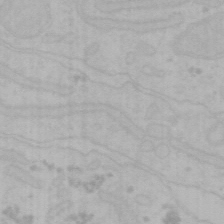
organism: Mouse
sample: Choroid plexus